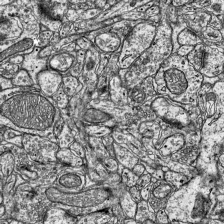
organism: Mouse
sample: Visual Cortex